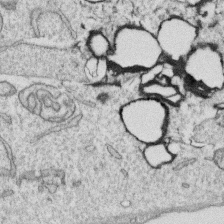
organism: Human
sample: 1205lu cells